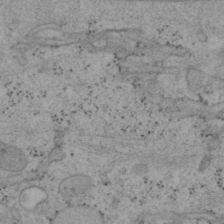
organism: Human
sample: HeLa cells